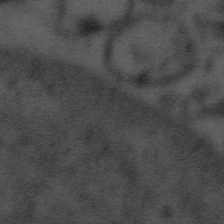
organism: Tuwongella immobilis